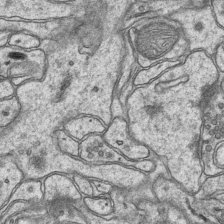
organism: Mouse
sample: CA1 Hippocampus